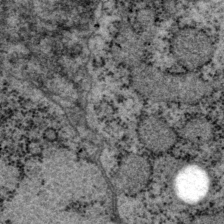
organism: P. pacificus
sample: Pharynx